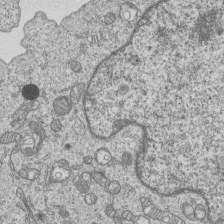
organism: Human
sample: MDA-MB-231 cells